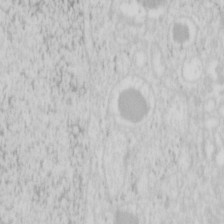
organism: Mouse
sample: Pancreas